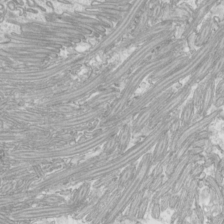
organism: Mouse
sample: Cilia; mouse epididymis